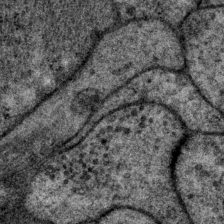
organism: P. pacificus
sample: Pharynx